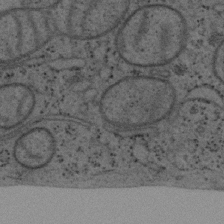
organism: Human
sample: HeLa cells